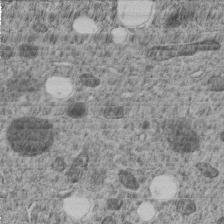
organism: C. elegans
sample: C. elegans embryo early stage